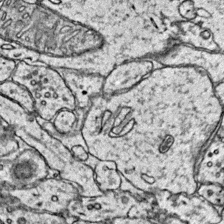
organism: Mouse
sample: Primary visual cortex